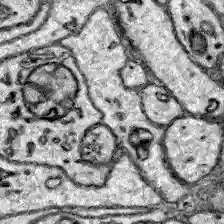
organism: Zebrafish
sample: Brain